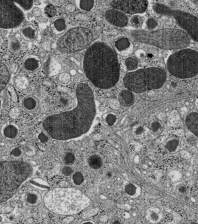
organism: C57BL Mouse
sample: Pancreatic islet